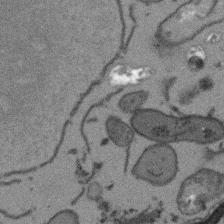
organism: Arabidopsis thaliana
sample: Root tip